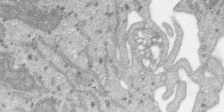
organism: Human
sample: Lung epithelial cells infected with SARS-CoV-2